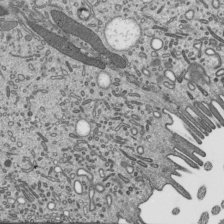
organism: Mouse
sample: Mouse epididymis efferent ductule cilia